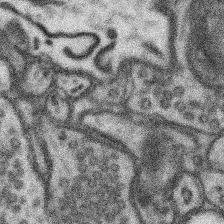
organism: Mouse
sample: Somatosensory cortex neuropil